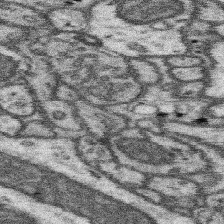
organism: Mouse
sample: Somatosensory cortex neuropil